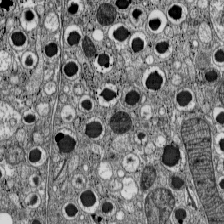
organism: C57BL Mouse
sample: Pancreatic islet